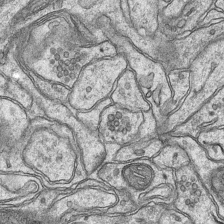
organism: Mouse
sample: CA1 Hippocampus